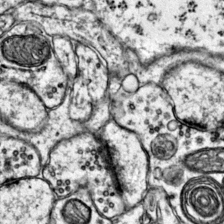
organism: Mouse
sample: Primary visual cortex